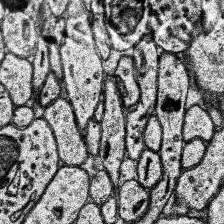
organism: Human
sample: Temporal Lobe